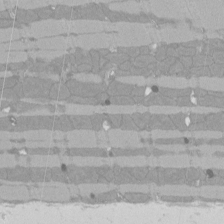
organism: Rat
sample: Left ventricle